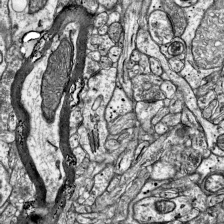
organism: Mouse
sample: Visual Cortex